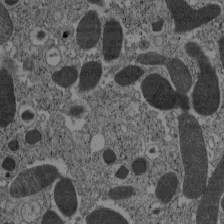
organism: C57BL Mouse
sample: Pancreatic islet